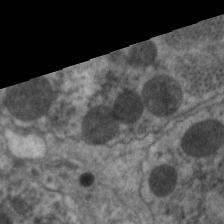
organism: C. elegans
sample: Pharynx